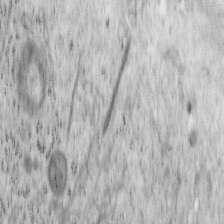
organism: Human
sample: HeLa cells